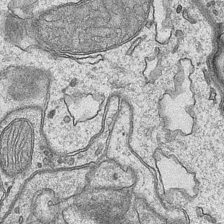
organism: Mouse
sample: CA1 Hippocampus